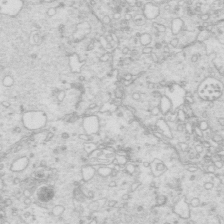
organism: Mouse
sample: Multiciliated cells